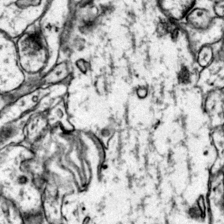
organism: Mouse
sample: Primary visual cortex